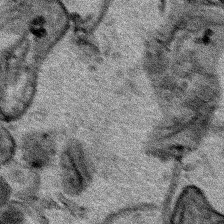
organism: Human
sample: Mitochondria in HCT116 cells